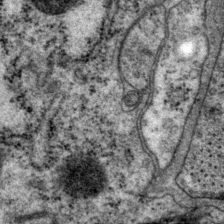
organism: P. pacificus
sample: Pharynx